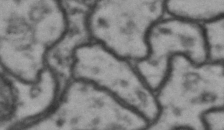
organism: Drosophila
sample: Brain